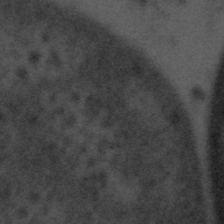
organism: Tuwongella immobilis